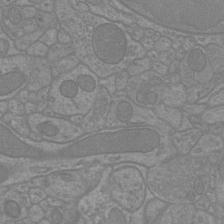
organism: Mouse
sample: Cortical neurons